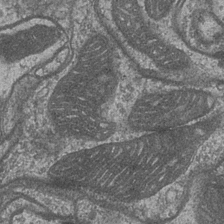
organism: Drosophila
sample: Optic medulla